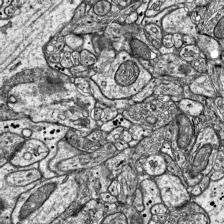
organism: Mouse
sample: Visual Cortex